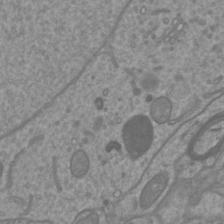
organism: Mouse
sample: Cortical neurons